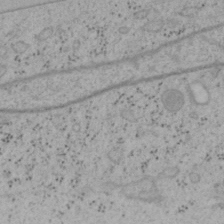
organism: Human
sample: HeLa cells